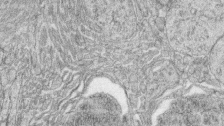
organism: Zebrafish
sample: synaptic ribbons in rod cells and cone cells